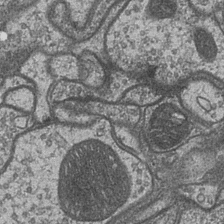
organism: Drosophila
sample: Optic medulla